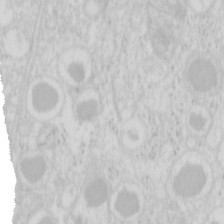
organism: Mouse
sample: Pancreas